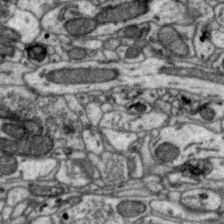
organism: Zebra finch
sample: Brain